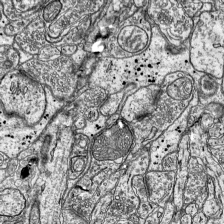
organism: Mouse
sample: Visual Cortex